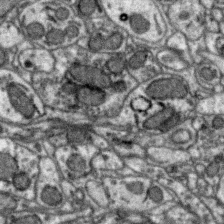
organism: Zebra finch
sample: Brain